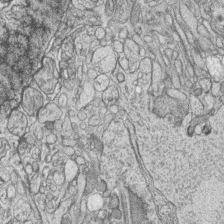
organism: Zebrafish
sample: synaptic ribbons in rod cells and cone cells